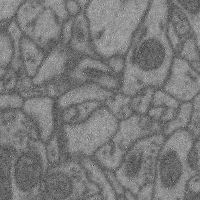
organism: Mouse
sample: Cerebral cortex